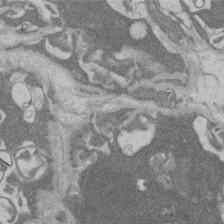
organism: Rat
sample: Salivary granule